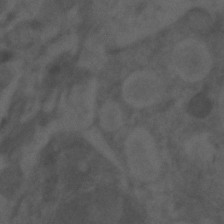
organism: Zebrafish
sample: Zebrafish embryo